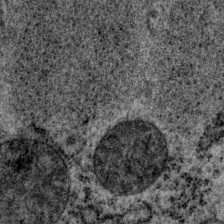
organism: P. pacificus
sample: Pharynx